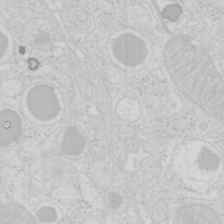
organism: Mouse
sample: Pancreas